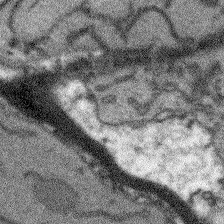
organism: Arabidopsis thaliana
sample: Root tip